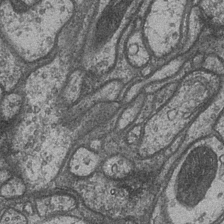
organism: Drosophila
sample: Optic medulla